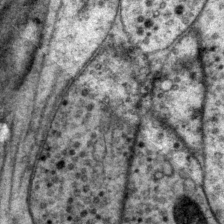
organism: P. pacificus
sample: Pharynx